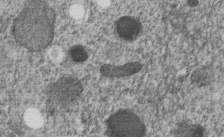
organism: C. elegans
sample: C. elegans embryo early stage